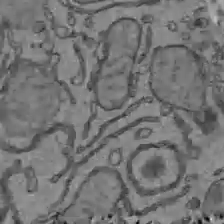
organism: C57BL Mouse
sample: Liver